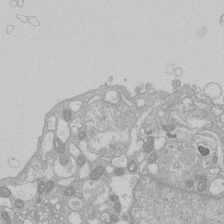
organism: Human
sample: Macrophage cells